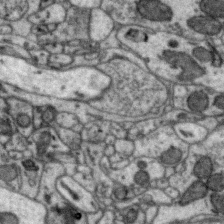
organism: Zebra finch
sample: Brain